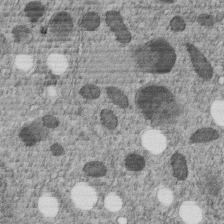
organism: C. elegans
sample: C. elegans embryo early stage